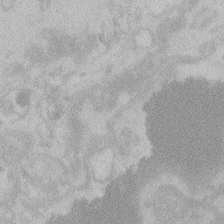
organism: Zebrafish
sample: Macrophage infected with Toxoplasma gondii